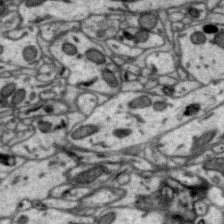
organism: Zebra finch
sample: Brain